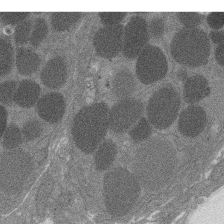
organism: Rat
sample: Salivary granule